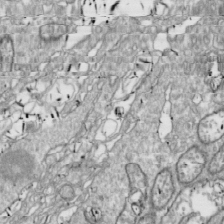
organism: Drosophila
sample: Cell division; meiosis; drosophila spermatocytes